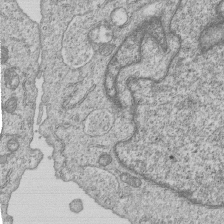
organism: Human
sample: MDA-MB-231 cells